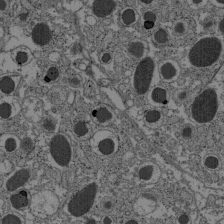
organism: C57BL Mouse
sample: Pancreatic islet